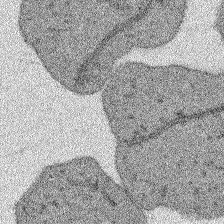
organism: Human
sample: HeLa cells